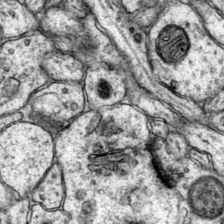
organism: Mouse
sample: Primary visual cortex